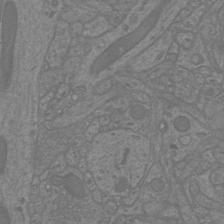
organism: Mouse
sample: Cortical neurons